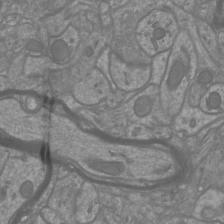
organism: Mouse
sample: Cortical neurons